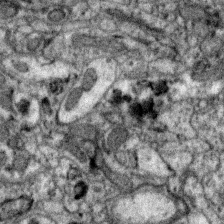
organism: Zebra finch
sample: Brain